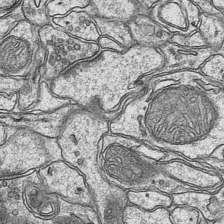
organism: Mouse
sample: CA1 Hippocampus